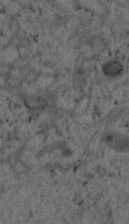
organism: Human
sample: HeLa cells